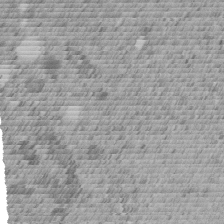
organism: C. elegans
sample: C. elegans embryo early stage